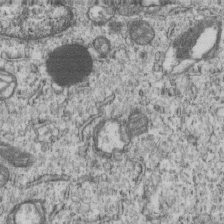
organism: Human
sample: MDA-MB-231 cells